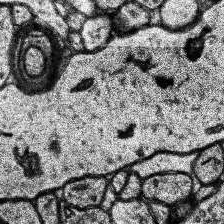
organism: Human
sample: Temporal Lobe